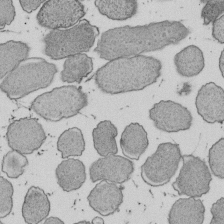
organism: E. coli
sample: Bacterial nucleoid